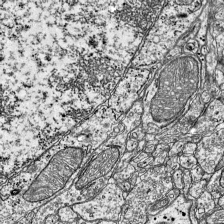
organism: Mouse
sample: Visual Cortex